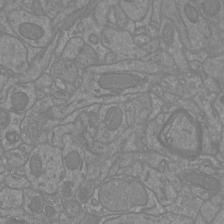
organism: Mouse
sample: Cortical neurons